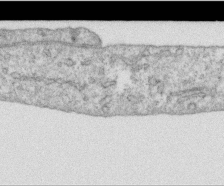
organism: Human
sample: Centriole in RPE cells